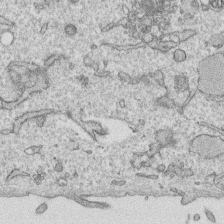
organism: Human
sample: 1205lu cells